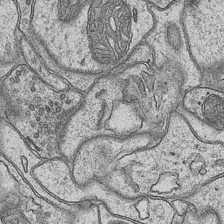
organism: Mouse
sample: CA1 Hippocampus